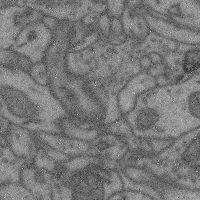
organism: Mouse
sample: Cerebral cortex